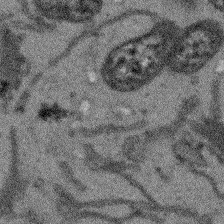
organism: Arabidopsis thaliana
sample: Root tip